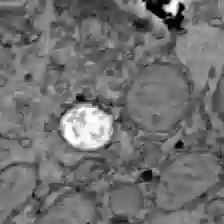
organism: C57BL Mouse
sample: Liver